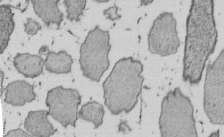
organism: E. coli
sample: Bacterial nucleoid